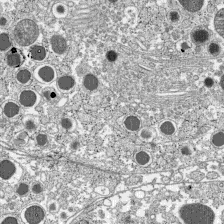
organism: C57BL Mouse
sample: Pancreatic islet